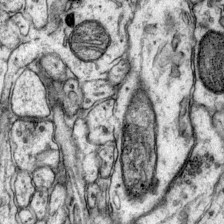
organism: Mouse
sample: Primary visual cortex